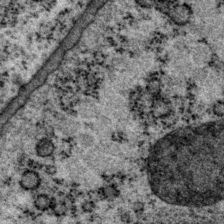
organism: P. pacificus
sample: Pharynx